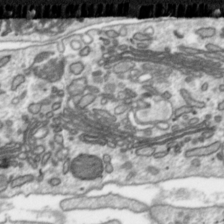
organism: Toxoplasma gondii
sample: Parasites in a vacuole inside a host cell